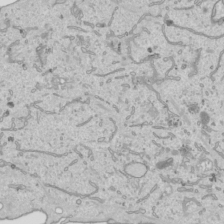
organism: Human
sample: Mitochondria in HCT116 cells